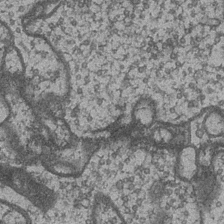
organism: Drosophila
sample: Optic medulla